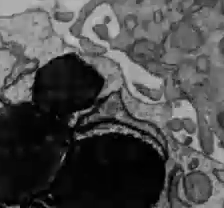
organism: C57BL Mouse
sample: Liver